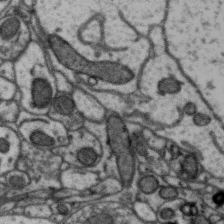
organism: Zebra finch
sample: Brain